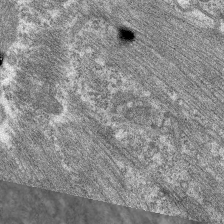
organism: C. elegans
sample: Pharynx